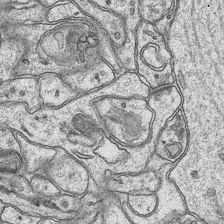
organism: Mouse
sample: CA1 Hippocampus